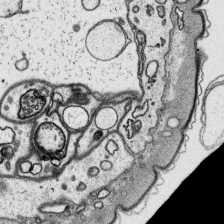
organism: Platynereis dumerilii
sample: Parapodia